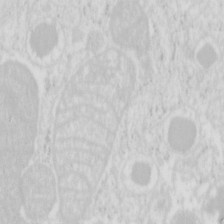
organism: Mouse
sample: Pancreas